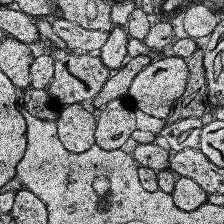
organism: Human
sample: Temporal Lobe